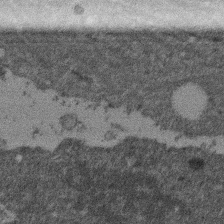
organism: Mouse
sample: Dividing mouse embryo 1 cell stage